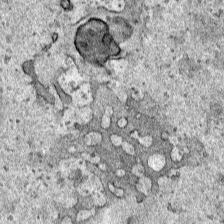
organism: Human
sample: Mitochondria in HCT116 cells